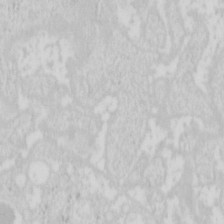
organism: Mouse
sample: Pancreas